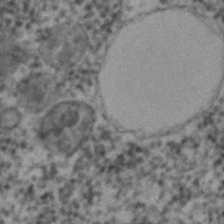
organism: C. elegans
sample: C. elegans embryo